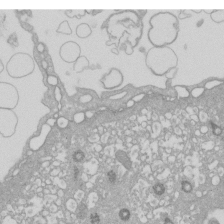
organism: Xenopus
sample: Cilia; centrioles in frog embryo cells